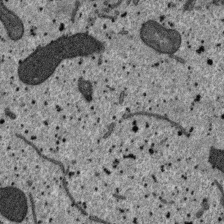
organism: Human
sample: Lung epithelial cells, uninfected (mock) control